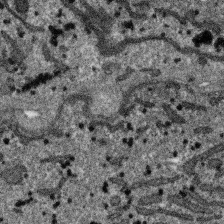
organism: Human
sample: Lung epithelial cells infected with SARS-CoV-2